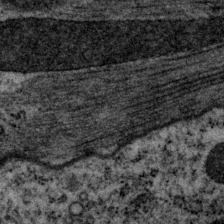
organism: P. pacificus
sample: Pharynx